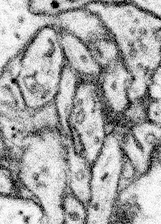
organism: Mouse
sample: Somatosensory cortex neuropil